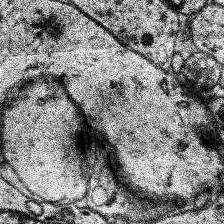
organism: Human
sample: Temporal Lobe